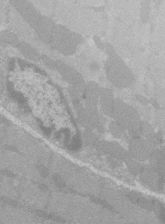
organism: C57BL Mouse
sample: Tibialis anterior muscle cell